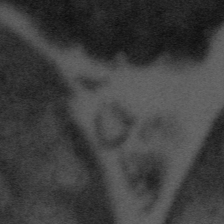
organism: Tuwongella immobilis